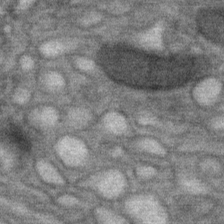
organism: Mouse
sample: Mouse Salivary gland